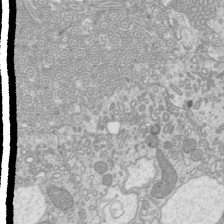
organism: Mouse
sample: Cilia; mouse epididymis